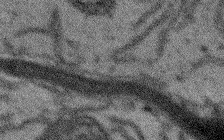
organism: Arabidopsis thaliana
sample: Root tip